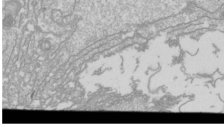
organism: Drosophila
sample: Cell division; meiosis; drosophila spermatocytes